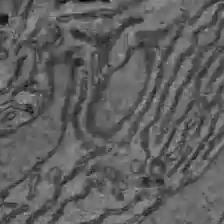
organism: C57BL Mouse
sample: Liver